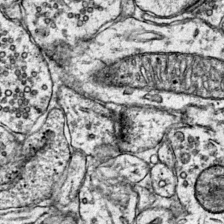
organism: Mouse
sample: Primary visual cortex